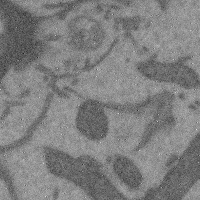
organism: Mouse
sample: Cerebral cortex